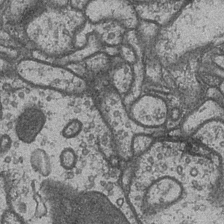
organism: Drosophila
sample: Optic medulla